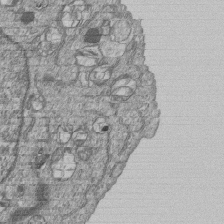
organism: Human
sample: MDA-MB-231 cells